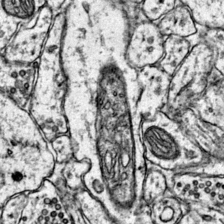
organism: Mouse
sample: Primary visual cortex